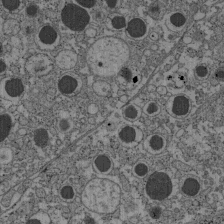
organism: C57BL Mouse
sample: Pancreatic islet